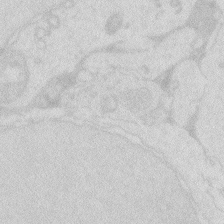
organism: Zebrafish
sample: Macrophage